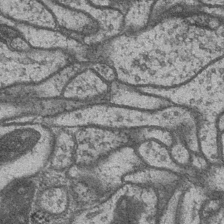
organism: Drosophila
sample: Optic medulla